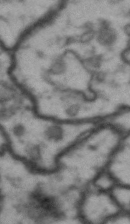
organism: Drosophila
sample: Brain